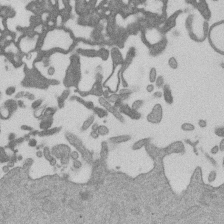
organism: Mouse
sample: Dividing mouse embryo 1 cell stage